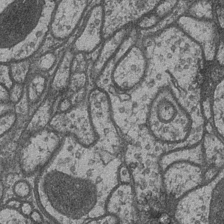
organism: Drosophila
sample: Optic medulla